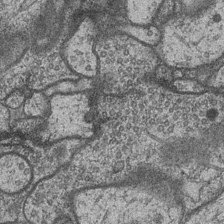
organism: Drosophila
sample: Optic medulla